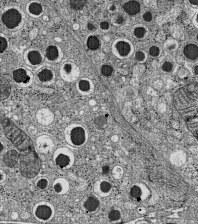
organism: C57BL Mouse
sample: Pancreatic islet